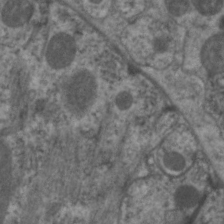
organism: C. elegans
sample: Pharynx